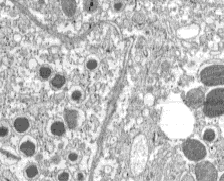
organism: C57BL Mouse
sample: Pancreatic islet